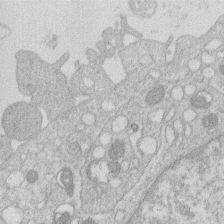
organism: Human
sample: Macrophage cells